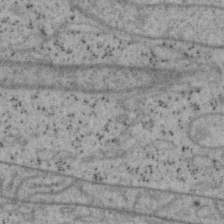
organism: Human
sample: HeLa cells